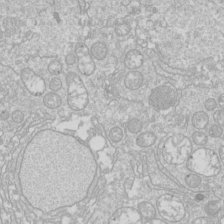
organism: Drosophila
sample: Cell division; meiosis; drosophila spermatocytes